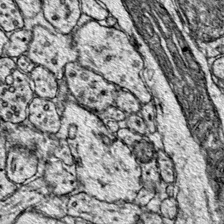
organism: Mouse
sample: Primary visual cortex